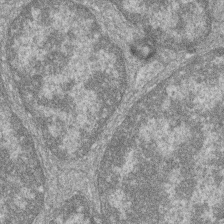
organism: Zebrafish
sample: Cilia; retinal pigment epithelium